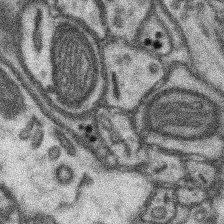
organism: Mouse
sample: Somatosensory cortex neuropil